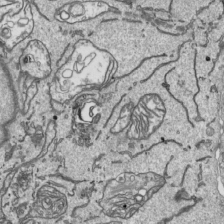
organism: Human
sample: Mitochondria in HCT116 cells